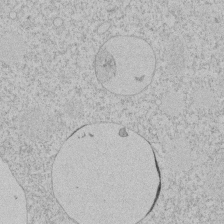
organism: Tetrahymena